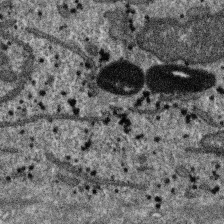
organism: Human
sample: Lung epithelial cells infected with SARS-CoV-2